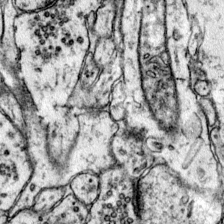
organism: Mouse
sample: Primary visual cortex